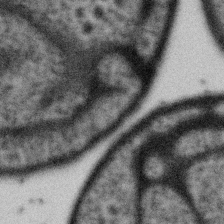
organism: Gemmata obscuriglobus